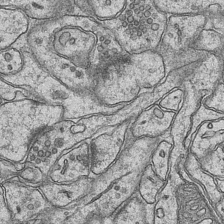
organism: Mouse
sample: CA1 Hippocampus